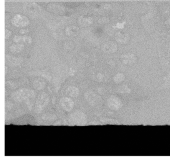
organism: C. elegans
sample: C. elegans oocyte; sperm cells